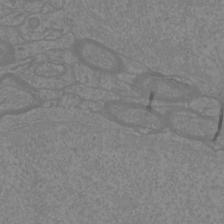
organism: Mouse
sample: Cortical neurons